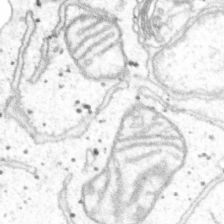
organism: Human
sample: HeLa cells